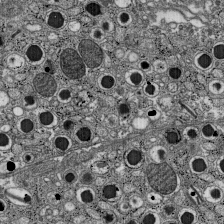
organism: C57BL Mouse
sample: Pancreatic islet